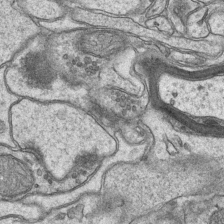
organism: Mouse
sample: CA1 Hippocampus